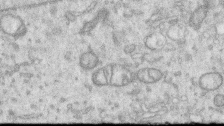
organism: Human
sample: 1205lu cells